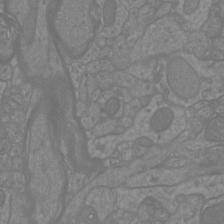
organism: Mouse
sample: Cortical neurons